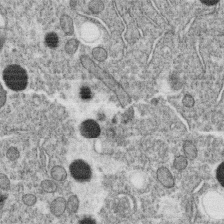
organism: C. elegans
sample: C. elegans oocyte; sperm cells